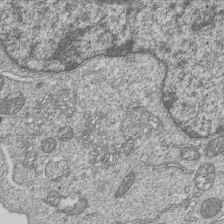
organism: Human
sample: MDA-MB-231 cells